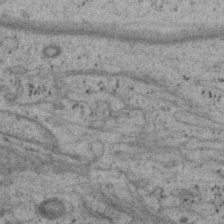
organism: Human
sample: HeLa cells